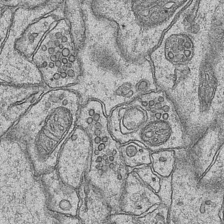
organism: Mouse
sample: CA1 Hippocampus